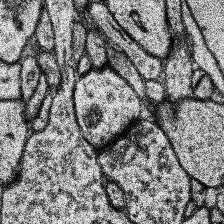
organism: Human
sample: Temporal Lobe